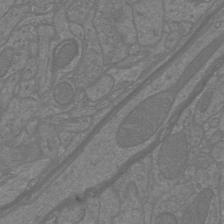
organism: Mouse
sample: Cortical neurons